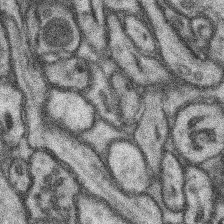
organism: Mouse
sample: Somatosensory cortex neuropil